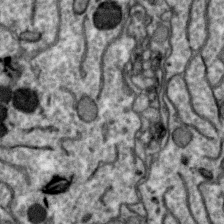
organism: Zebra finch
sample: Brain